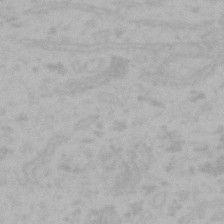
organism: Mouse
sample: Choroid plexus